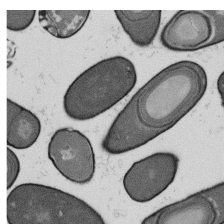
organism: B. subtilis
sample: Bacterial spore